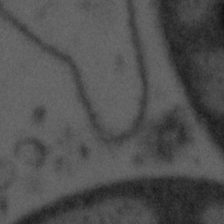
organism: Tuwongella immobilis